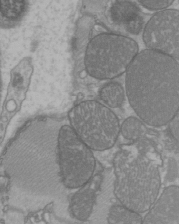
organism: C57BL Mouse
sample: Heart